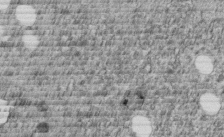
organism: C. elegans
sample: C. elegans embryo early stage